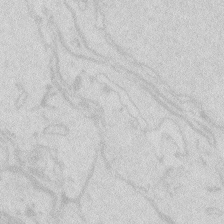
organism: Zebrafish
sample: Macrophage